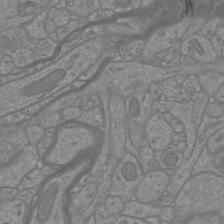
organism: Mouse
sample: Cortical neurons